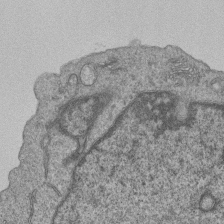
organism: Human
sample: MDA-MB-231 cells